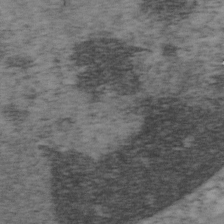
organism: Mouse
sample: OT-I killer T cells with ID8 ovarian cancer cells